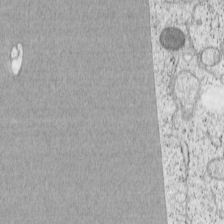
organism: African green monkey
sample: COS-7 cells